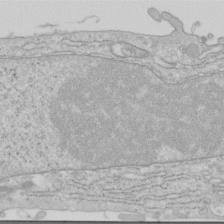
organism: Human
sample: Centriole in RPE cells